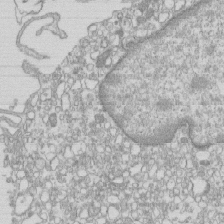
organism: Mouse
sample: Macrophages